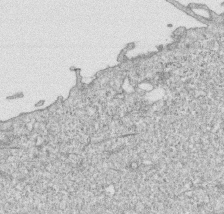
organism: Human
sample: HeLa cell HIV synapse